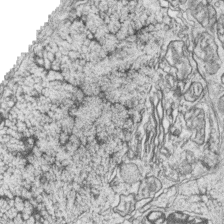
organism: Zebrafish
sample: synaptic ribbons in rod cells and cone cells